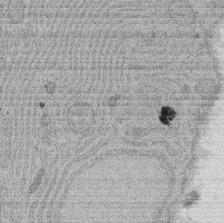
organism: Rat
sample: Salivary granule